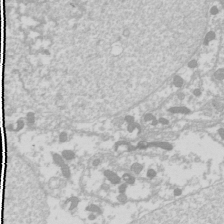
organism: Drosophila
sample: Cell division; meiosis; drosophila spermatocytes